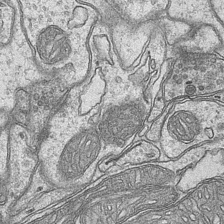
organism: Mouse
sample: CA1 Hippocampus